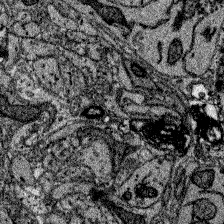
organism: Zebrafish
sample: Larval olfactory bulb